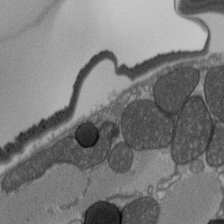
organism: C57BL Mouse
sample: Heart